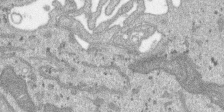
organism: Human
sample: Lung epithelial cells infected with SARS-CoV-2